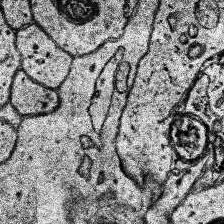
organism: Human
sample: Temporal Lobe